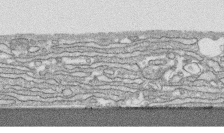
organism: Human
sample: CRL-1474